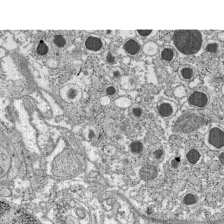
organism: C57BL Mouse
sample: Pancreatic islet